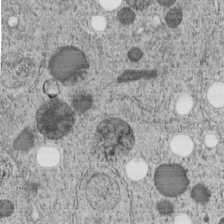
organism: C. elegans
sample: C. elegans embryo early stage